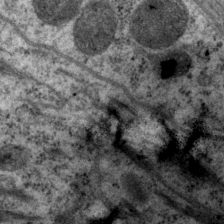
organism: P. pacificus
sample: Pharynx